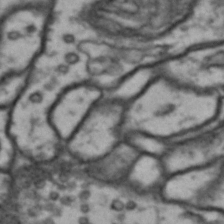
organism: Drosophila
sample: Brain